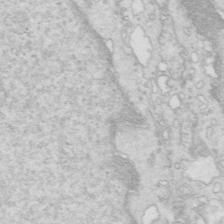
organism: Mouse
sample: Multiciliated cells